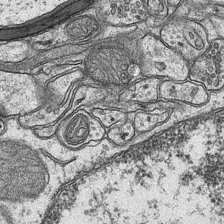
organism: Mouse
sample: CA1 Hippocampus